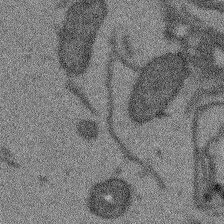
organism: Arabidopsis thaliana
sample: Root tip